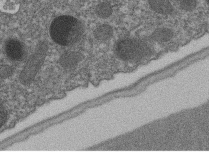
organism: C. elegans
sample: C. elegans embryo early stage